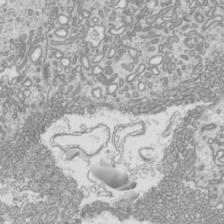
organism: Mouse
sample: Cilia; mouse epididymis